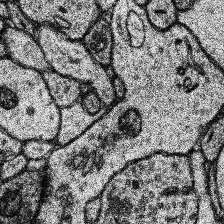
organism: Human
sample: Temporal Lobe